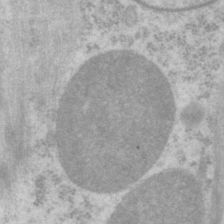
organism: P. pacificus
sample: Pharynx